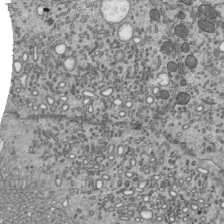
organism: Mouse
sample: Mouse epididymis efferent ductule cilia